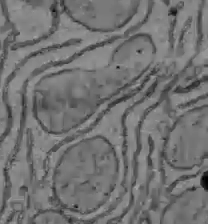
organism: C57BL Mouse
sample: Liver